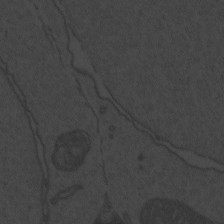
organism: Zebrafish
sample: Macrophage infected with Toxoplasma gondii